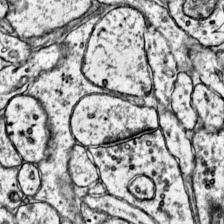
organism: Mouse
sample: Primary visual cortex